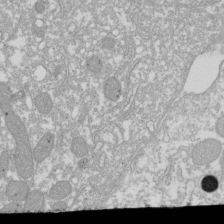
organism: Xenopus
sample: Cilia; centrioles in frog embryo cells